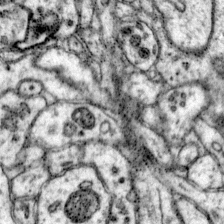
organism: Mouse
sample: Primary visual cortex